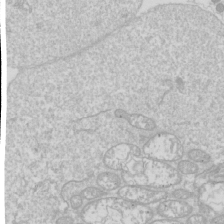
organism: Drosophila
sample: Cell division; meiosis; drosophila spermatocytes